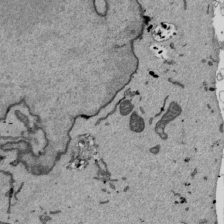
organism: Mouse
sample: ED-1 cell nuclei; centrioles